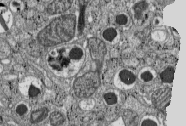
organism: C57BL Mouse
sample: Pancreatic islet